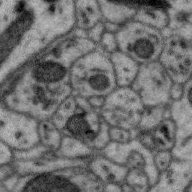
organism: Zebra finch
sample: Brain